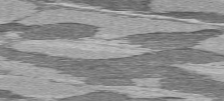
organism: C57BL Mouse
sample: Heart